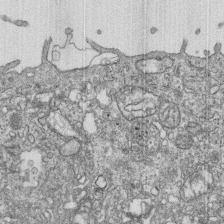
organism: Human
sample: HeLa cell HIV synapse